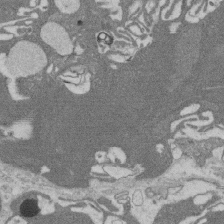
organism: Rat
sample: Salivary granule